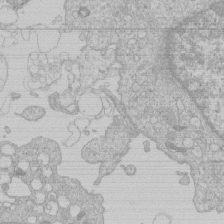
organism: Human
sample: Macrophage cells